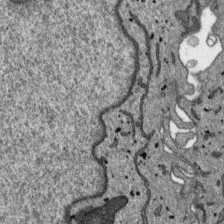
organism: Human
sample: Lung epithelial cells, uninfected (mock) control